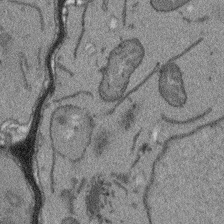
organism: Arabidopsis thaliana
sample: Root tip